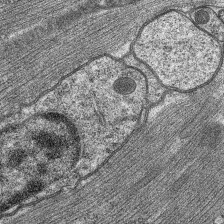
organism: C. elegans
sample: Pharynx